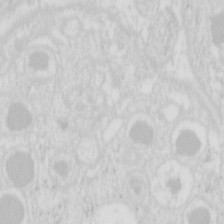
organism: Mouse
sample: Pancreas